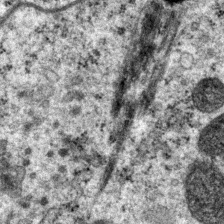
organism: P. pacificus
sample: Pharynx